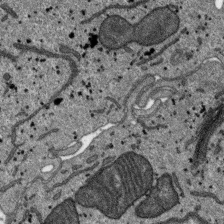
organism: Human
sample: Lung epithelial cells, uninfected (mock) control